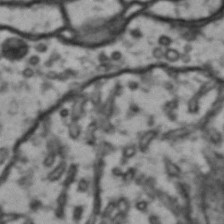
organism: Drosophila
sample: Brain